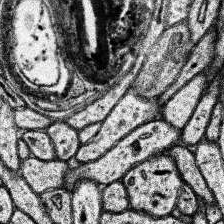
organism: Human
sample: Temporal Lobe